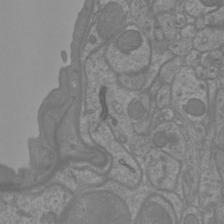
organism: Mouse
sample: Cortical neurons